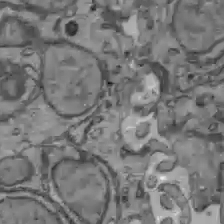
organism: C57BL Mouse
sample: Liver